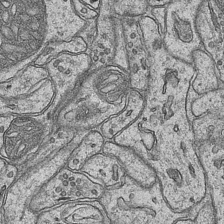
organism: Mouse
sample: CA1 Hippocampus